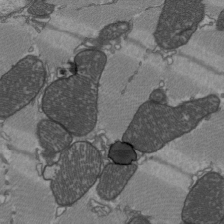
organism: C57BL Mouse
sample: Heart